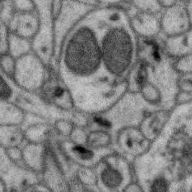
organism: Zebra finch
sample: Brain